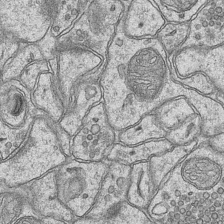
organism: Mouse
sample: CA1 Hippocampus